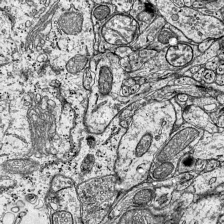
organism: Mouse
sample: Visual Cortex